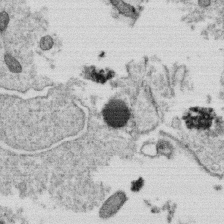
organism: C. elegans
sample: C. elegans oocyte; sperm cells